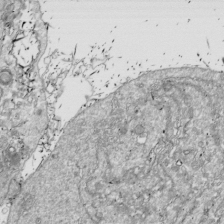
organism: Drosophila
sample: Cell division; meiosis; drosophila spermatocytes